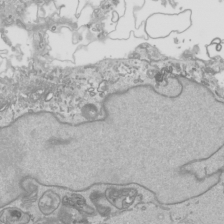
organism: Human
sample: Mitochondria in HCT116 cells